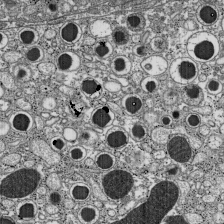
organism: C57BL Mouse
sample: Pancreatic islet